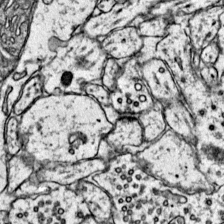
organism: Mouse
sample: Primary visual cortex